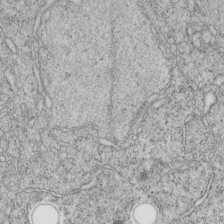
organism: C. elegans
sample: C. elegans embryo early stage